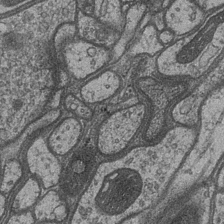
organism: Drosophila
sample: Optic medulla